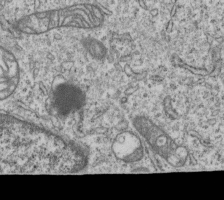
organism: Human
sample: MDA-MB-231 cells